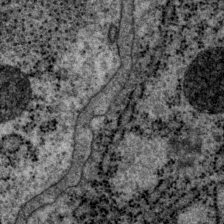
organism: P. pacificus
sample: Pharynx